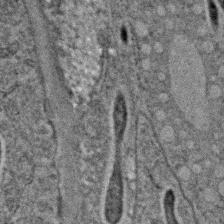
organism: C. elegans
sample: C. elegans embryo